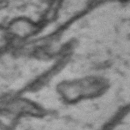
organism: Drosophila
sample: Brain